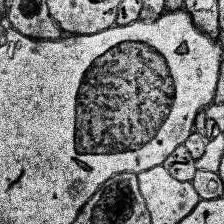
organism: Human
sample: Temporal Lobe